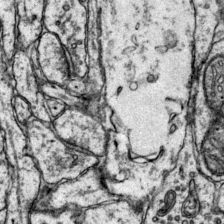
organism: Mouse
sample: Primary visual cortex